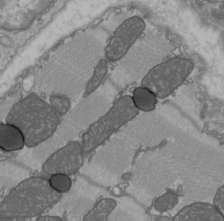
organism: C57BL Mouse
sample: Heart